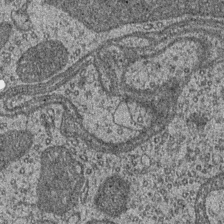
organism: Drosophila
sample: Optic medulla